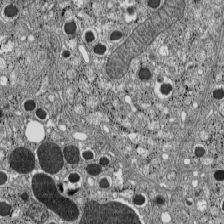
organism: C57BL Mouse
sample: Pancreatic islet